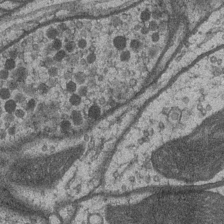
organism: Drosophila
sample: Optic medulla